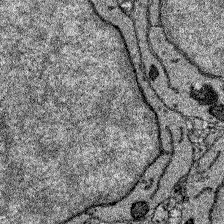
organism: Zebrafish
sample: Larval olfactory bulb